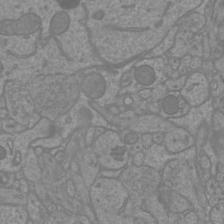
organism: Mouse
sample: Cortical neurons